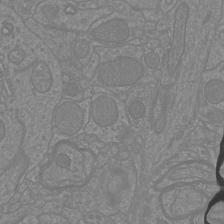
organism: Mouse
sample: Cortical neurons